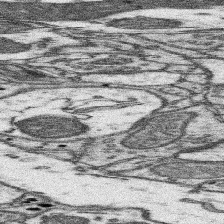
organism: Mouse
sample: Somatosensory cortex neuropil